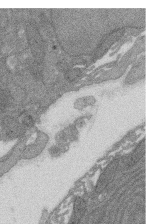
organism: Rat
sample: Salivary granule